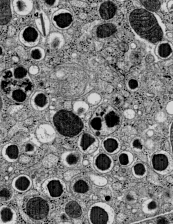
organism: C57BL Mouse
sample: Pancreatic islet